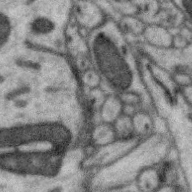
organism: Zebra finch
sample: Brain